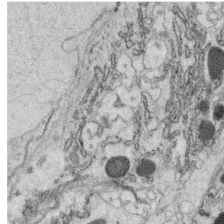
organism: C. elegans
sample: C. elegans oocyte; sperm cells